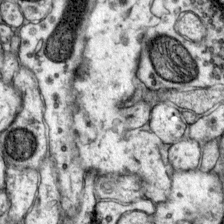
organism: Mouse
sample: Primary visual cortex